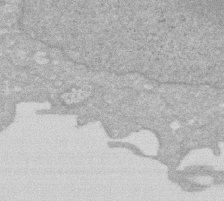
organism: Human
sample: HIV infected U937 cells